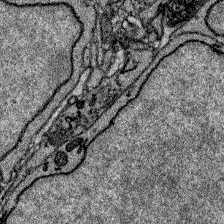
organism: Zebrafish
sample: Larval olfactory bulb